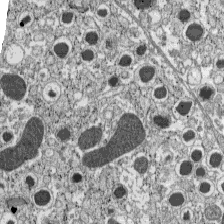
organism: C57BL Mouse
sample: Pancreatic islet